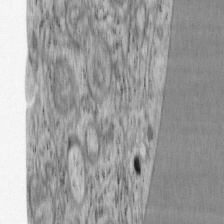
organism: Human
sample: HeLa cells